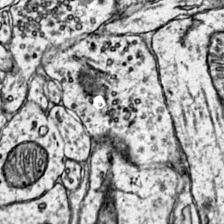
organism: Mouse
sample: Primary visual cortex